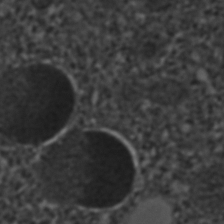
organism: C. elegans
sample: C. elegans embryo